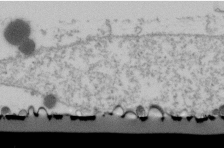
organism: Human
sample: U2-OS cells